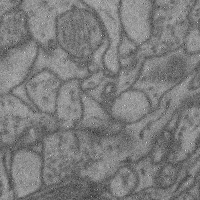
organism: Mouse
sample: Cerebral cortex